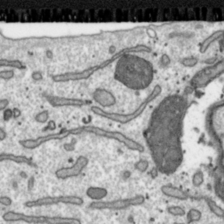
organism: Toxoplasma gondii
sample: Parasites in a vacuole inside a host cell